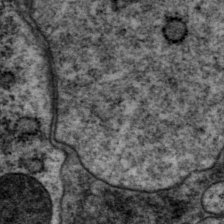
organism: P. pacificus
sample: Pharynx